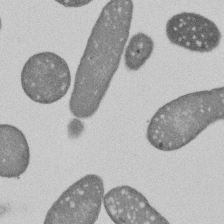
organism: E. coli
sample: Bacterial nucleoid